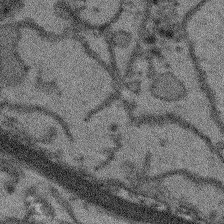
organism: Arabidopsis thaliana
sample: Root tip